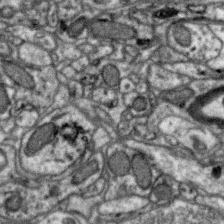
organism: Zebra finch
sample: Brain